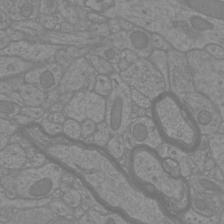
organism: Mouse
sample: Cortical neurons